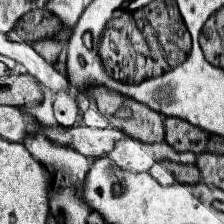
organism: Human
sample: Temporal Lobe